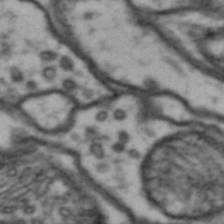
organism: Drosophila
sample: Brain